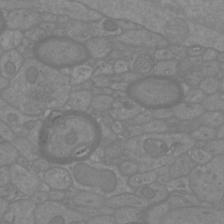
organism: Mouse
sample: Cortical neurons